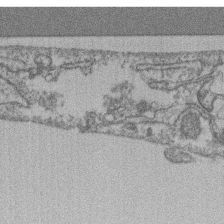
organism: Mouse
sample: T cell stromal cell synapse